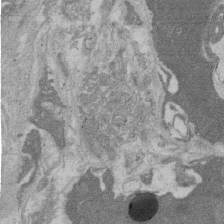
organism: Rat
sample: Salivary granule